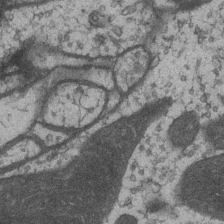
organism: Drosophila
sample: Optic medulla